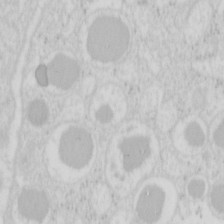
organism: Mouse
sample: Pancreas